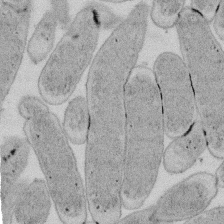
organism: E. coli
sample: Bacterial nucleoid